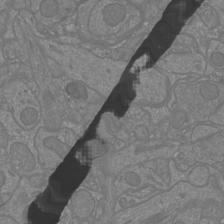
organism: Mouse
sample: Cortical neurons